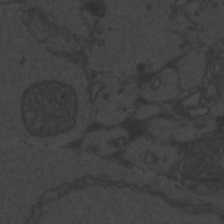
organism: Zebrafish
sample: Macrophage infected with Toxoplasma gondii